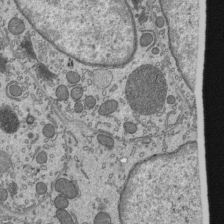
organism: Mouse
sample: Mouse epididymis efferent ductule cilia